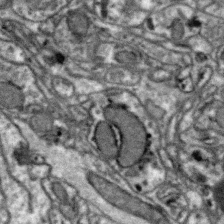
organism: Zebra finch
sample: Brain